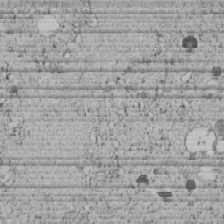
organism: C. elegans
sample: C. elegans embryo early stage